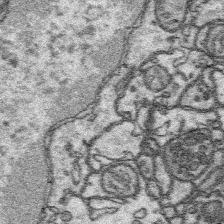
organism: Platynereis dumerilii